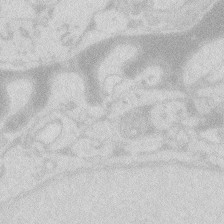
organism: Zebrafish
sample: Macrophage